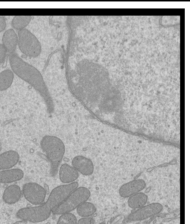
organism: Mouse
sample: Cilia; mouse epididymis